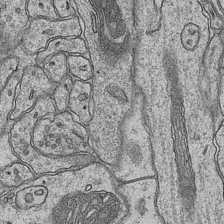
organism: Mouse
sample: CA1 Hippocampus